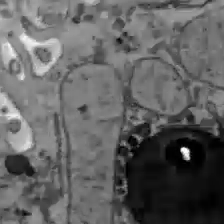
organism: C57BL Mouse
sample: Liver